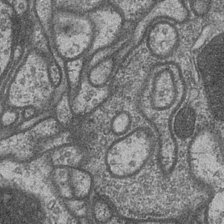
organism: Drosophila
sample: Optic medulla